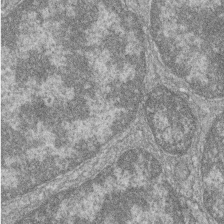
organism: Zebrafish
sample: Cilia; retinal pigment epithelium